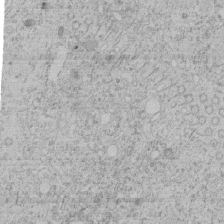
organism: Tetrahymena